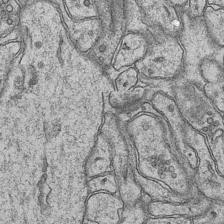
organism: Mouse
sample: CA1 Hippocampus